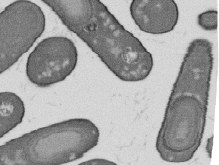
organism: B. subtilis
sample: Bacterial spore